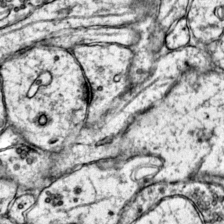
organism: Mouse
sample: Primary visual cortex